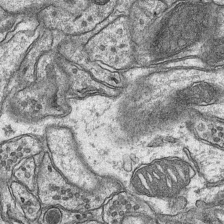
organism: Mouse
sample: CA1 Hippocampus